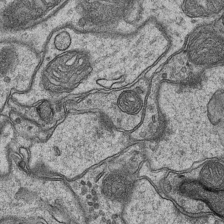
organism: Mouse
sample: CA1 Hippocampus